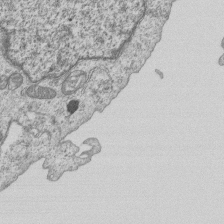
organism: Human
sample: MDA-MB-231 cells